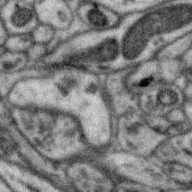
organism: Zebra finch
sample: Brain